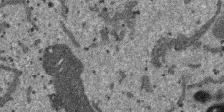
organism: Human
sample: Lung epithelial cells infected with SARS-CoV-2